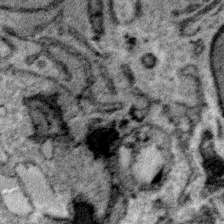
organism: Plasmodium falciparum